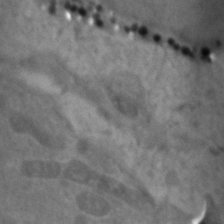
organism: Zebrafish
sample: Zebrafish embryo